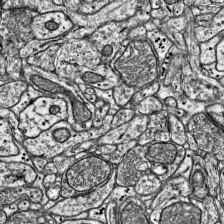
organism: Mouse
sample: Visual Cortex